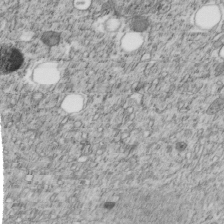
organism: C. elegans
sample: C. elegans embryo early stage